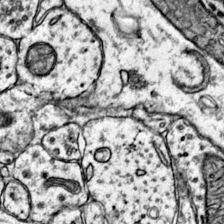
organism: Mouse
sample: Primary visual cortex